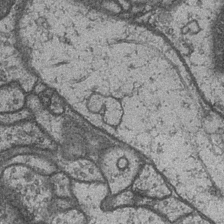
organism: Drosophila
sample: Optic medulla